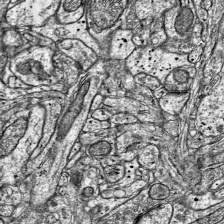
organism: Mouse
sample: Visual Cortex